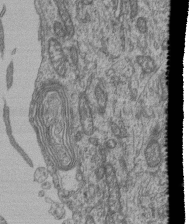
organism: Human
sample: Retinal organoid Rod and Cone cells